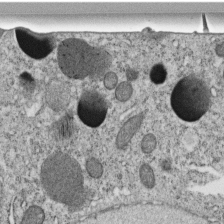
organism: C. elegans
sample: C. elegans embryo early stage